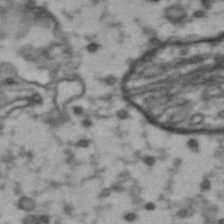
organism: Drosophila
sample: Brain